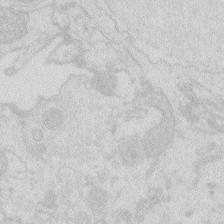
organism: Zebrafish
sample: Macrophage